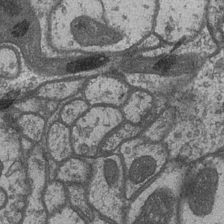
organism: Drosophila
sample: Optic medulla